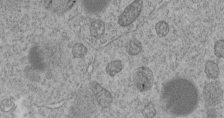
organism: C. elegans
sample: C. elegans embryo early stage